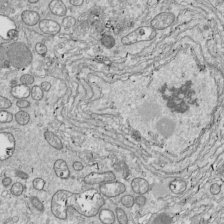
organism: Drosophila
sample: Cell division; meiosis; drosophila spermatocytes